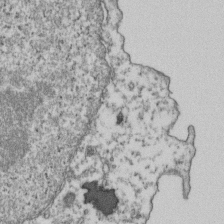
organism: Human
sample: Activated Jurkat CD4+ T cells